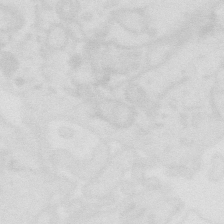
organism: Human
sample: HeLa cells